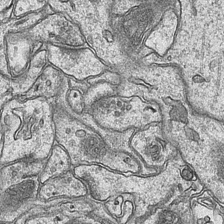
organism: Mouse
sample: CA1 Hippocampus